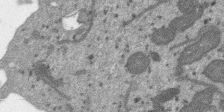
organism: Human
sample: Lung epithelial cells infected with SARS-CoV-2